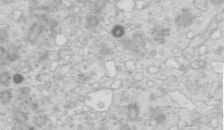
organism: Mouse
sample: Multiciliated cells